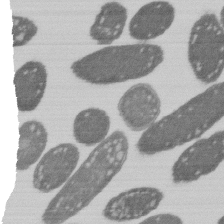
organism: E. coli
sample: Bacterial nucleoid